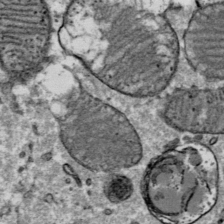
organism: Mouse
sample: Mouse Salivary gland